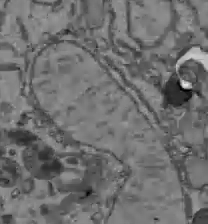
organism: C57BL Mouse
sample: Liver